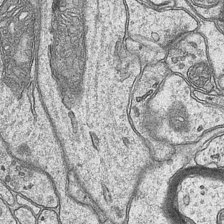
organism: Mouse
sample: CA1 Hippocampus